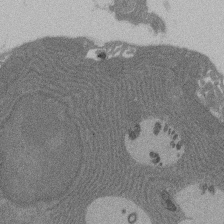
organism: Rat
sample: Salivary granule